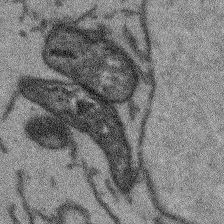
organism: Arabidopsis thaliana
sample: Root tip